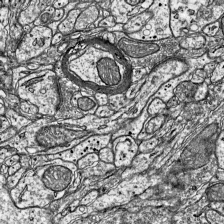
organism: Mouse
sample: Visual Cortex